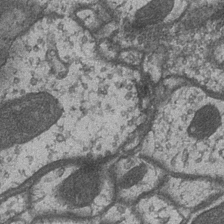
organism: Drosophila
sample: Optic medulla